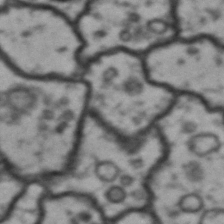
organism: Drosophila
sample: Brain